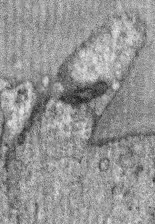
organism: Mouse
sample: Corneal nerves